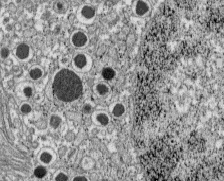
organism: C57BL Mouse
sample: Pancreatic islet